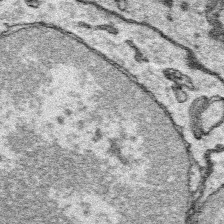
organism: Platynereis dumerilii